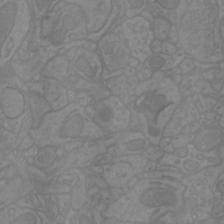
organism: Mouse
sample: Cortical neurons